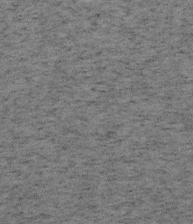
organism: Mouse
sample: OT-I killer T cells with ID8 ovarian cancer cells